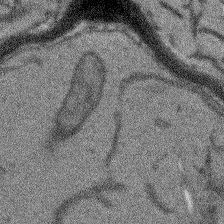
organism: Arabidopsis thaliana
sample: Root tip